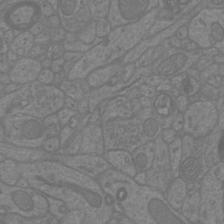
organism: Mouse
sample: Cortical neurons